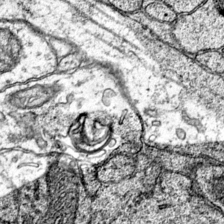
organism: Mouse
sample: Primary visual cortex